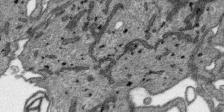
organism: Human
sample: Lung epithelial cells, uninfected (mock) control